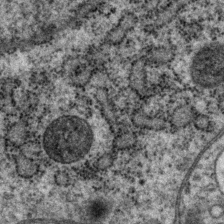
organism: P. pacificus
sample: Pharynx